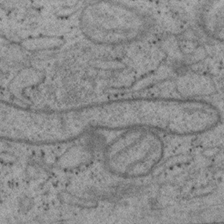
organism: Human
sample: HeLa cells